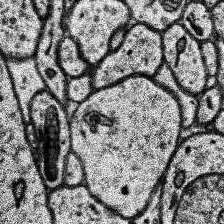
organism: Human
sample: Temporal Lobe